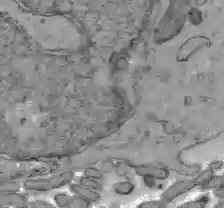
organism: C57BL Mouse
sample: Liver